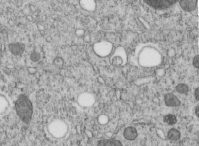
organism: C. elegans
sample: C. elegans embryo early stage